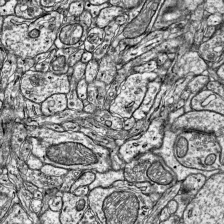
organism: Mouse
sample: Visual Cortex